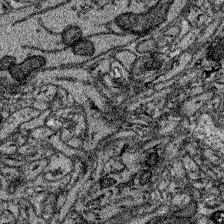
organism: Zebrafish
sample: Larval olfactory bulb